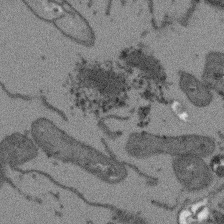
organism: Arabidopsis thaliana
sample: Root tip